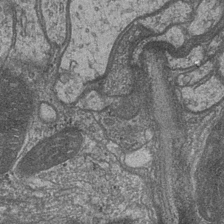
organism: Drosophila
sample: Optic medulla